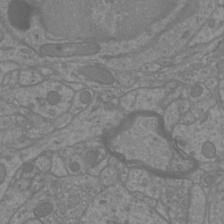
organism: Mouse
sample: Cortical neurons